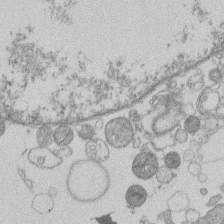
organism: Human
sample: Macrophage cells